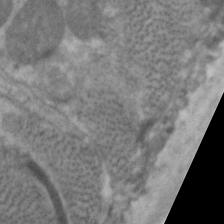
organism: C. elegans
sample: Pharynx